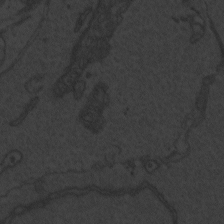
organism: Zebrafish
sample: Macrophage infected with Toxoplasma gondii